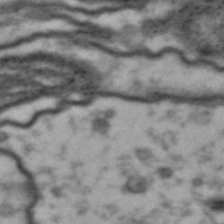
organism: Drosophila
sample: Brain